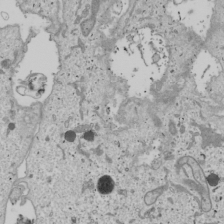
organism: Human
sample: Mitochondria in U2OS cells